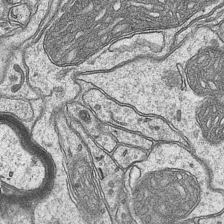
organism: Mouse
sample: CA1 Hippocampus